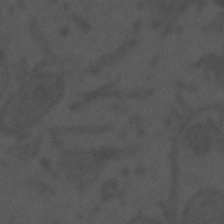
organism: Mouse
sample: Suprachiasmatic nucleus